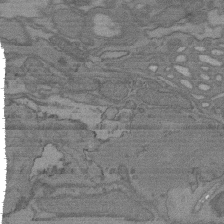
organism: C. elegans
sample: AFD neurons C. elegans